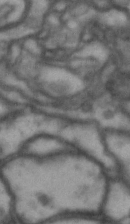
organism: Drosophila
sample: Brain